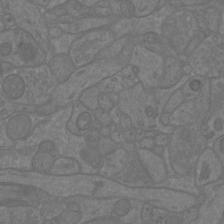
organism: Mouse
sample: Cortical neurons